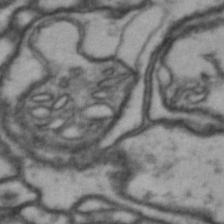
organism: Drosophila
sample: Brain